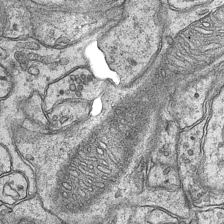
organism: Mouse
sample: CA1 Hippocampus